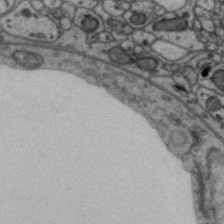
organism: Zebra finch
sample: Brain